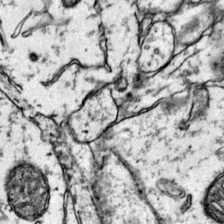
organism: Mouse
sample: Primary visual cortex